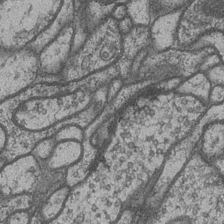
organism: Drosophila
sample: Optic medulla